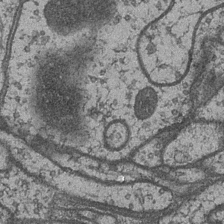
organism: Drosophila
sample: Optic medulla